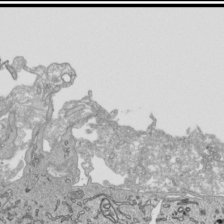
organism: Human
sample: Mitochondria in HCT116 cells